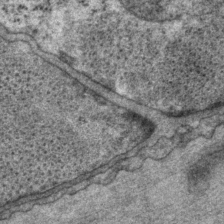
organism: P. pacificus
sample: Pharynx